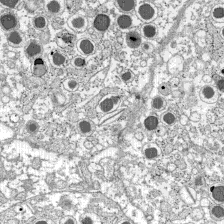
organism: C57BL Mouse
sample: Pancreatic islet